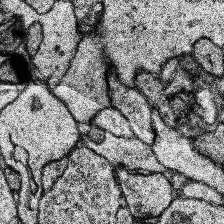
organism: Human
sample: Temporal Lobe